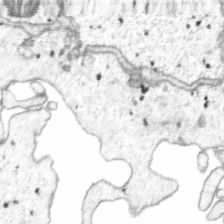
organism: Human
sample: HeLa cells